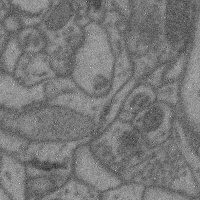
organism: Mouse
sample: Cerebral cortex